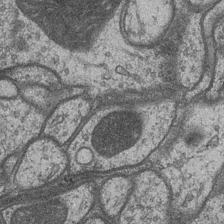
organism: Drosophila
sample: Optic medulla